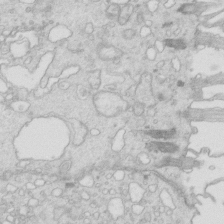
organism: Mouse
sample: Multiciliated cells